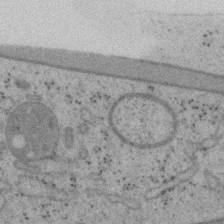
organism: Human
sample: HeLa cells